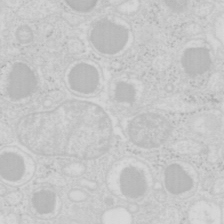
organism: Mouse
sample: Pancreas